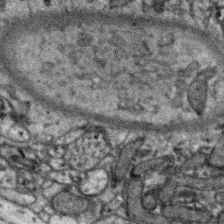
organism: Zebra finch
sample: Brain